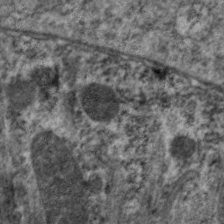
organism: C. elegans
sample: Pharynx